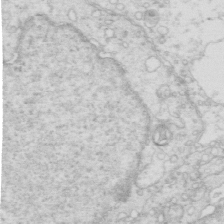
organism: Mouse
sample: Multiciliated cells